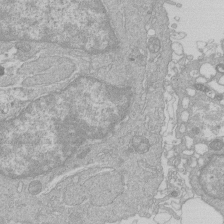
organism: Human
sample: Macrophage cells